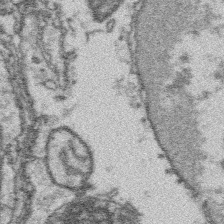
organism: Platynereis dumerilii